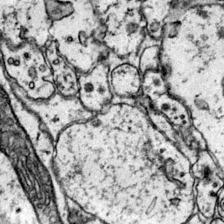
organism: Mouse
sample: Primary visual cortex